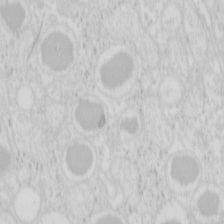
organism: Mouse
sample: Pancreas